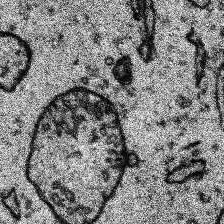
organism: Human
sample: Temporal Lobe